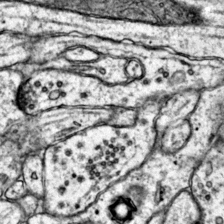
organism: Mouse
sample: Primary visual cortex